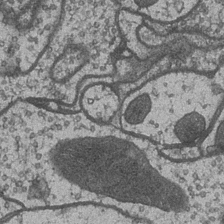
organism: Drosophila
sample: Optic medulla